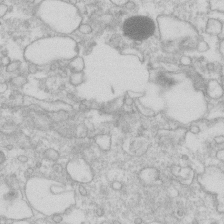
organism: Human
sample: Fibroblast cells